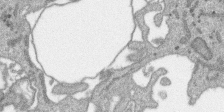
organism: Human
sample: Lung epithelial cells infected with SARS-CoV-2